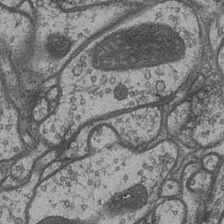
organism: Drosophila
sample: Optic medulla